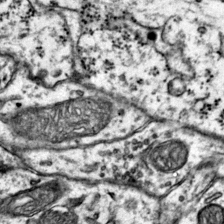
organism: Mouse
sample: Primary visual cortex